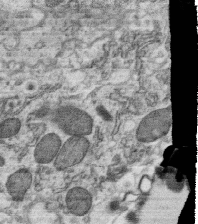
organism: C. elegans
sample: C. elegans oocyte; sperm cells